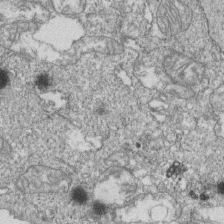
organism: Human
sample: HeLa cell HIV synapse